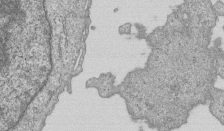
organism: Human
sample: MDA-MB-231 cells